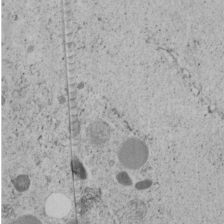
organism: C. elegans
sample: C. elegans embryo early stage